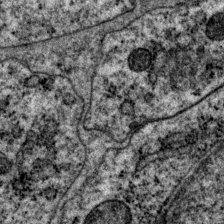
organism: P. pacificus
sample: Pharynx